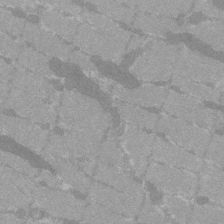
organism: C57BL Mouse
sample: Tibialis anterior muscle cell